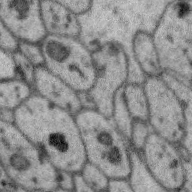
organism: Zebra finch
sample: Brain